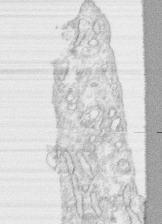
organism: Human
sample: CRL-1474